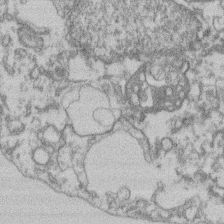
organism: Mouse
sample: T cell stromal cell synapse